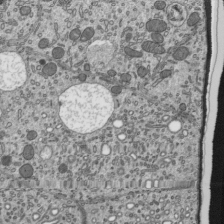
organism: Mouse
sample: Mouse epididymis efferent ductule cilia